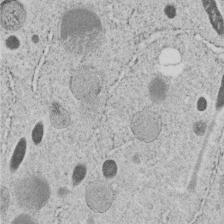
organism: C. elegans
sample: C. elegans embryo early stage